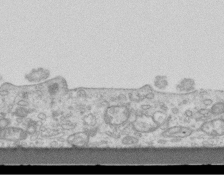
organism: Mouse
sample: Centriole in ependymal cells